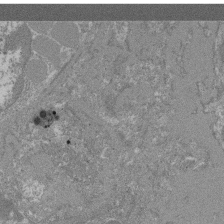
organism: Mouse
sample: Glomerulus